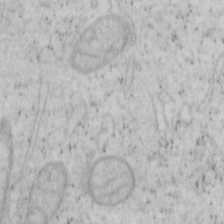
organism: Human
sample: HeLa cells